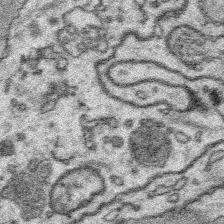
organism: Platynereis dumerilii